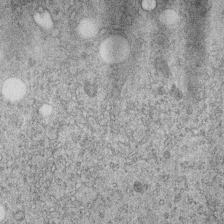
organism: C. elegans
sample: C. elegans embryo early stage